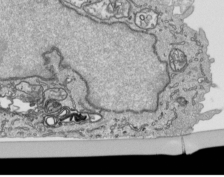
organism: Human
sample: Mitochondria in HCT116 cells